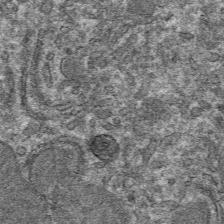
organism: Mouse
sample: Mouse hepatocytes